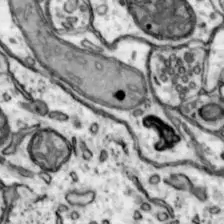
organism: Mouse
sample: Nucleus accumbens